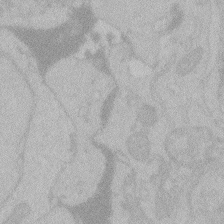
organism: Zebrafish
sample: Macrophage infected with Toxoplasma gondii